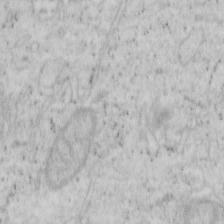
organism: Human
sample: HeLa cells